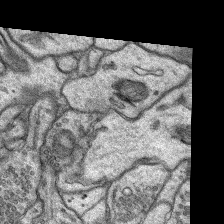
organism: Rat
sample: Hippocampus